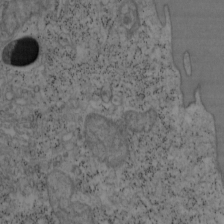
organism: Mouse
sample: OT-I killer T cells with ID8 ovarian cancer cells